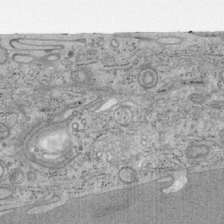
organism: Human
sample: HeLa cells